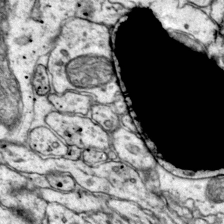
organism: Mouse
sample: Primary visual cortex